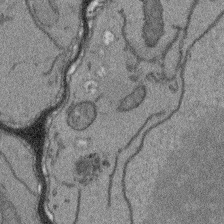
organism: Arabidopsis thaliana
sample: Root tip